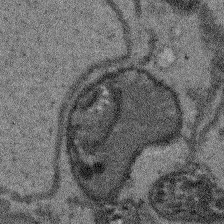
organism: Arabidopsis thaliana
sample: Root tip